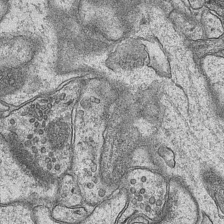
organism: Mouse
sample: CA1 Hippocampus